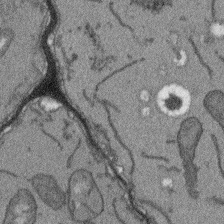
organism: Arabidopsis thaliana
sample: Root tip